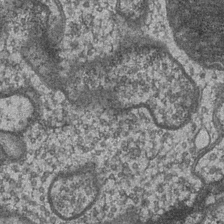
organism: Drosophila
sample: Optic medulla